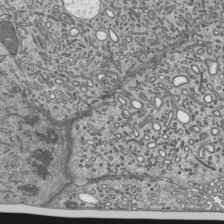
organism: Mouse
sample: Mouse epididymis efferent ductule cilia